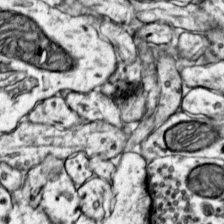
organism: Mouse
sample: Primary visual cortex